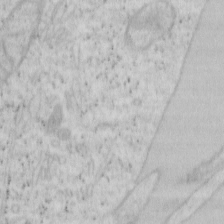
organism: Human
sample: HeLa cells